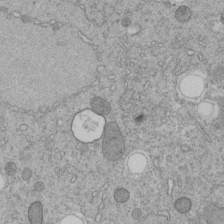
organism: C. elegans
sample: C. elegans embryo early stage